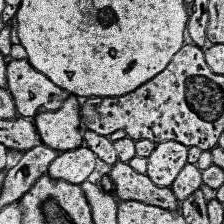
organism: Human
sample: Temporal Lobe